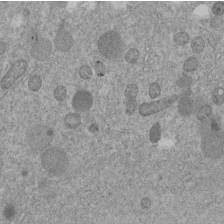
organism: C. elegans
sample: C. elegans embryo early stage